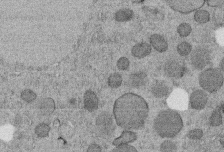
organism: C. elegans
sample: C. elegans embryo early stage